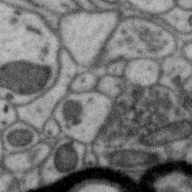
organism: Zebra finch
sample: Brain